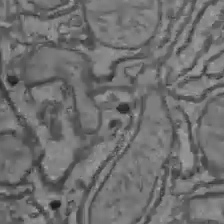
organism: C57BL Mouse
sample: Liver